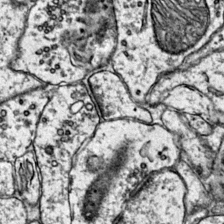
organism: Mouse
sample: Primary visual cortex